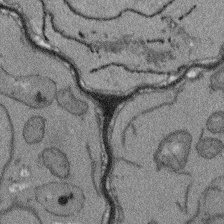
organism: Arabidopsis thaliana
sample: Root tip